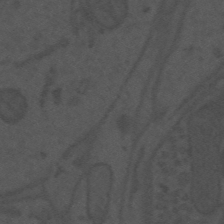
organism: Mouse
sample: Suprachiasmatic nucleus